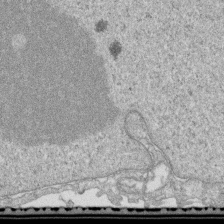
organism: Human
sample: HeLa cell HIV synapse